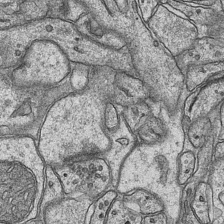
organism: Mouse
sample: CA1 Hippocampus